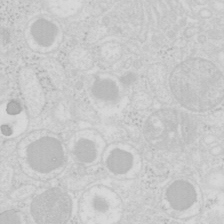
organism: Mouse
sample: Pancreas